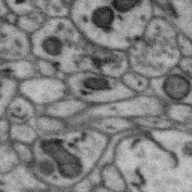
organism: Zebra finch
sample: Brain